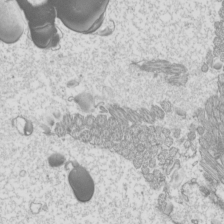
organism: Mouse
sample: Cilia; mouse epididymis